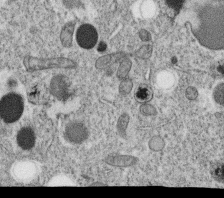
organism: C. elegans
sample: C. elegans oocyte; sperm cells